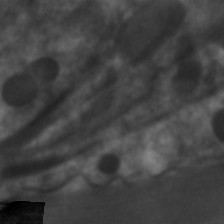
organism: C. elegans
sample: Pharynx